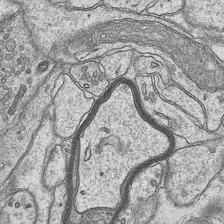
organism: Mouse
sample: CA1 Hippocampus